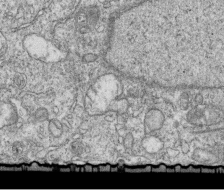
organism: Human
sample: HeLa cell HIV synapse